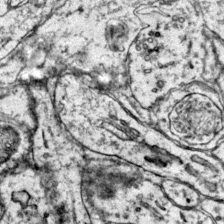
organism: Mouse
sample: Primary visual cortex